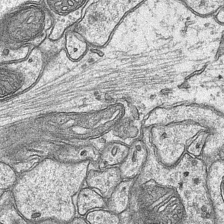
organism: Mouse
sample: CA1 Hippocampus